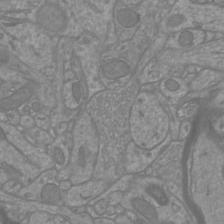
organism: Mouse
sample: Cortical neurons